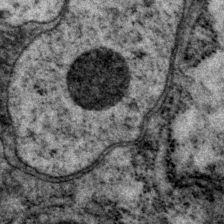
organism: P. pacificus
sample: Pharynx